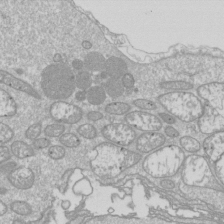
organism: Drosophila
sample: Cell division; meiosis; drosophila spermatocytes